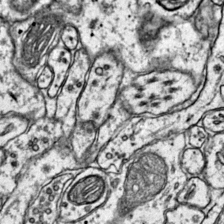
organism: Mouse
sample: Primary visual cortex